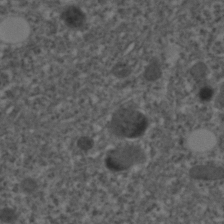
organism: C. elegans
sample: C. elegans embryo